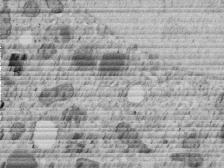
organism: C. elegans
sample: C. elegans embryo early stage